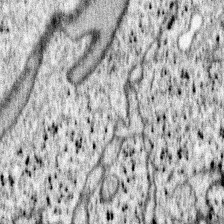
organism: Human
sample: HeLa cells